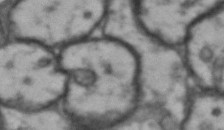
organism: Drosophila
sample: Brain